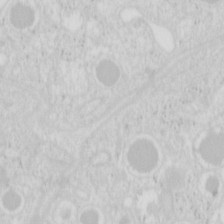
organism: Mouse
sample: Pancreas